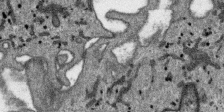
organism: Human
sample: Lung epithelial cells, uninfected (mock) control